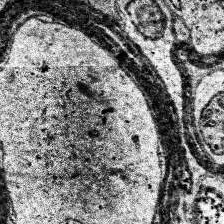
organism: Human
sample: Temporal Lobe